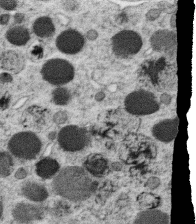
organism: C. elegans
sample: C. elegans oocyte; sperm cells